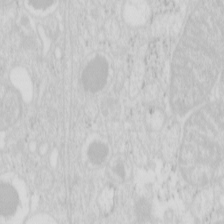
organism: Mouse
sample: Pancreas